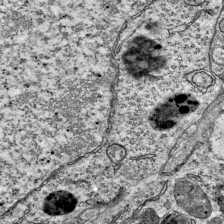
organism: Mouse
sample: Visual Cortex